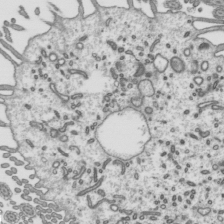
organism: Mouse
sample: Mouse epididymis efferent ductule cilia